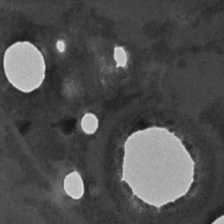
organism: C. elegans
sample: C. elegans embryo